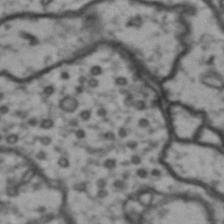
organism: Drosophila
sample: Brain